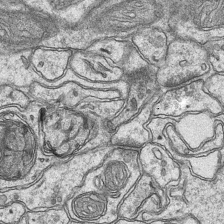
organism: Mouse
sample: CA1 Hippocampus